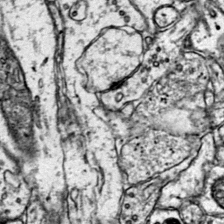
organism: Mouse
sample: Primary visual cortex